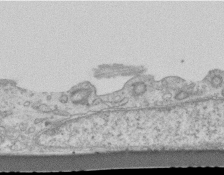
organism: Mouse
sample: Centriole in ependymal cells